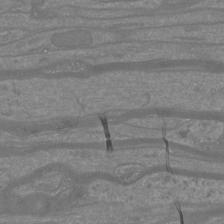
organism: Mouse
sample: Cortical neurons